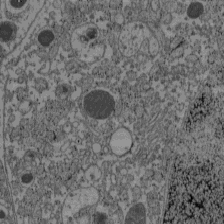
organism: C57BL Mouse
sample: Pancreatic islet